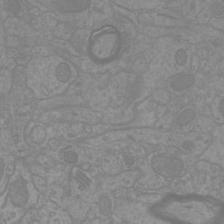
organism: Mouse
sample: Cortical neurons